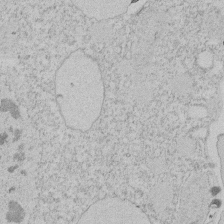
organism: Tetrahymena